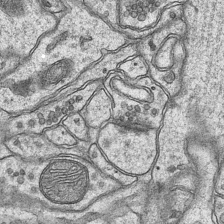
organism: Mouse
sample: CA1 Hippocampus